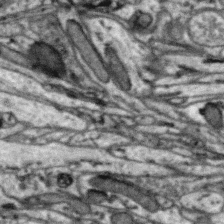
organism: Zebra finch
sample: Brain